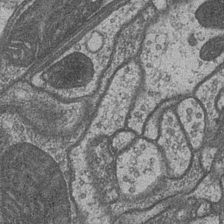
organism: Drosophila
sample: Optic medulla